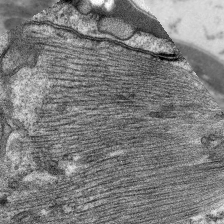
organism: C. elegans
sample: Pharynx